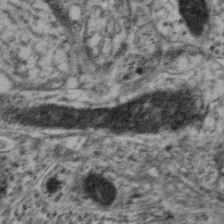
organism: Mouse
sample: Neocortex